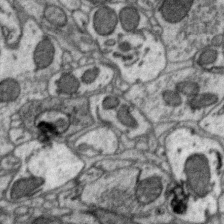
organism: Zebra finch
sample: Brain